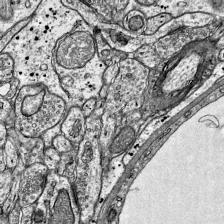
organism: Mouse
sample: Visual Cortex